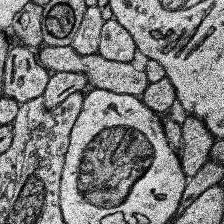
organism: Human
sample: Temporal Lobe